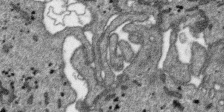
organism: Human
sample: Lung epithelial cells, uninfected (mock) control